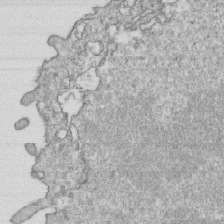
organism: Mouse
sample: Activated OT-1 CD8+ T cells